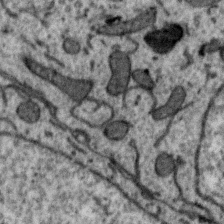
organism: Zebra finch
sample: Brain